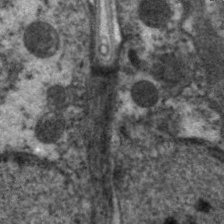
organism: C. elegans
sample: Pharynx